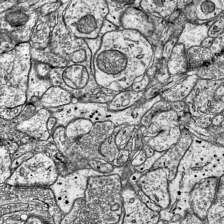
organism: Mouse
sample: Visual Cortex